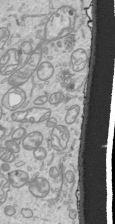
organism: Human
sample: Mitochondria in HCT116 cells